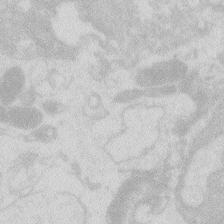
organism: Zebrafish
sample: Macrophage